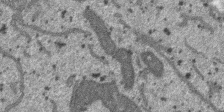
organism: Human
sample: Lung epithelial cells infected with SARS-CoV-2